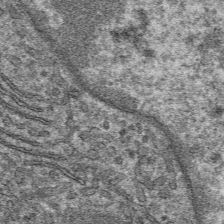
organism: Mouse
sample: Mouse hepatocytes